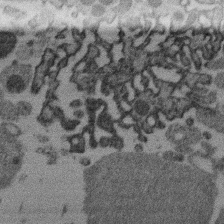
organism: Mouse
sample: Dividing mouse embryo 1 cell stage